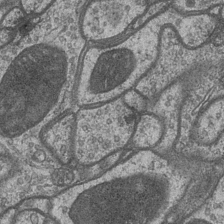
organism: Drosophila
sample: Optic medulla